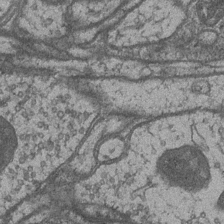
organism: Drosophila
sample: Optic medulla